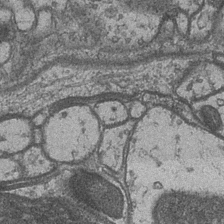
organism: Drosophila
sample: Optic medulla